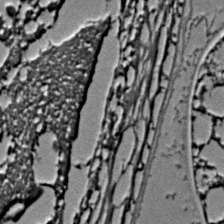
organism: C. elegans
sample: C. elegans embryo